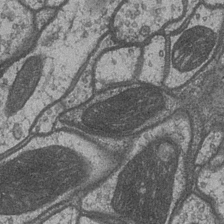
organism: Drosophila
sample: Optic medulla